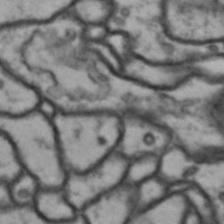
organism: Drosophila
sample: Brain